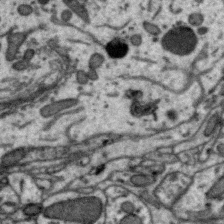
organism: Zebra finch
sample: Brain